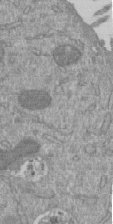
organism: Mouse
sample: ED-1 cell nuclei; centrioles